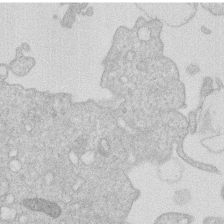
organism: Human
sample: Macrophage cells